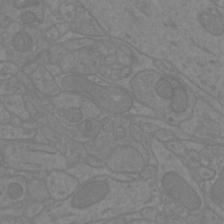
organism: Mouse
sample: Cortical neurons